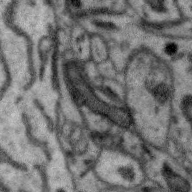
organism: Zebra finch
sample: Brain